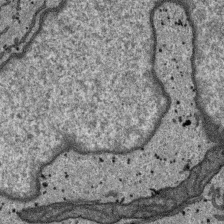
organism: Human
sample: Lung epithelial cells, uninfected (mock) control